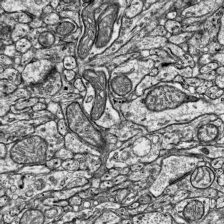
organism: Mouse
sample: Visual Cortex